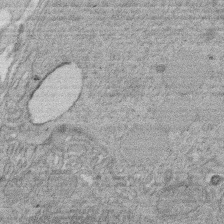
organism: Rat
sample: Salivary granule